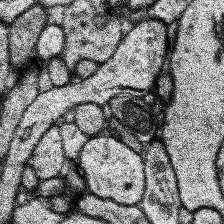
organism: Human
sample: Temporal Lobe